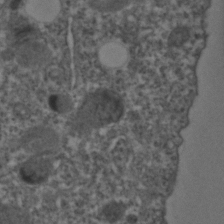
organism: C. elegans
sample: C. elegans embryo